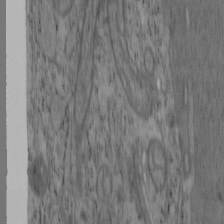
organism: Human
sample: HeLa cells